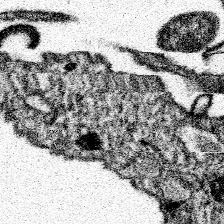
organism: Spongilla lacustris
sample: Neuroid cell